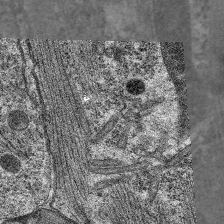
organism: C. elegans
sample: Pharynx